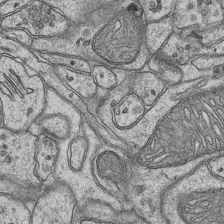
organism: Mouse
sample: CA1 Hippocampus